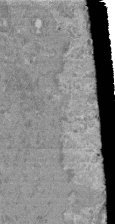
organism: Mouse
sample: Glomerulus